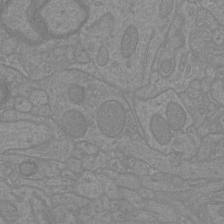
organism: Mouse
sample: Cortical neurons